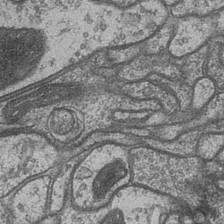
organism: Drosophila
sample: Optic medulla